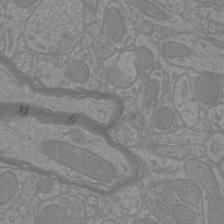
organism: Mouse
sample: Cortical neurons